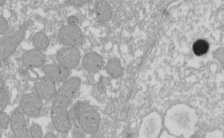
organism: Xenopus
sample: Cilia; centrioles in frog embryo cells